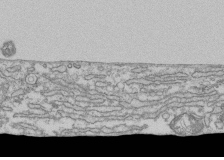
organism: Human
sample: Fibroblast cells